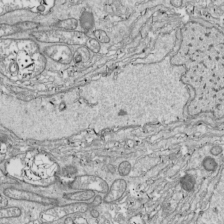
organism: Drosophila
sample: Cell division; meiosis; drosophila spermatocytes